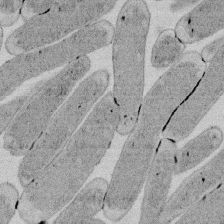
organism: E. coli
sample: Bacterial nucleoid